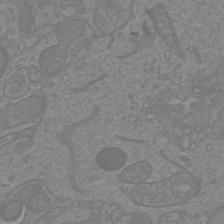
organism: Mouse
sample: Cortical neurons